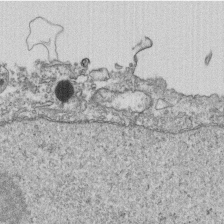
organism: Human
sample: HeLa cell HIV synapse